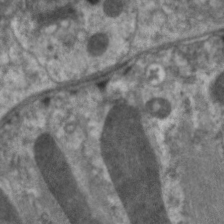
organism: C. elegans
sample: Pharynx